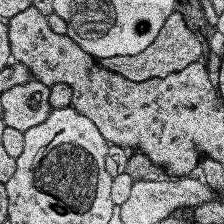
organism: Human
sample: Temporal Lobe